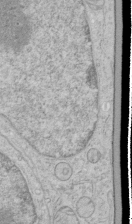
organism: Human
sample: Mitochondria in HCT116 cells